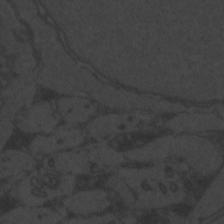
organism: Zebrafish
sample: Macrophage infected with Toxoplasma gondii